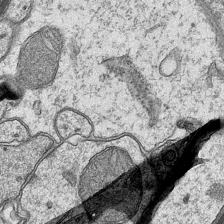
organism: Mouse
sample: CA1 Hippocampus